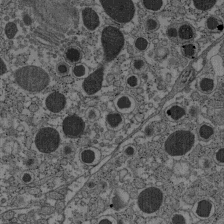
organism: C57BL Mouse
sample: Pancreatic islet